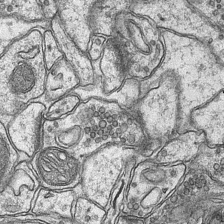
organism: Mouse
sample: CA1 Hippocampus